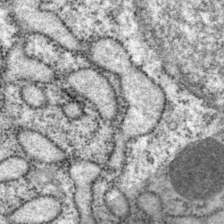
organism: P. pacificus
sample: Pharynx